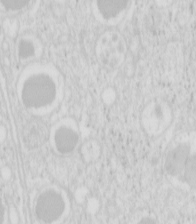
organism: Mouse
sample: Pancreas